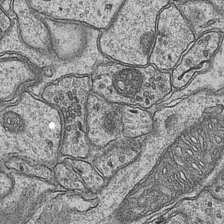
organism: Mouse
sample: CA1 Hippocampus